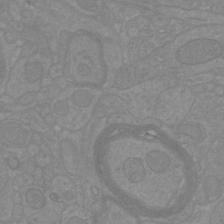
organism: Mouse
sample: Cortical neurons